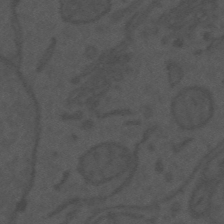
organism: Mouse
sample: Suprachiasmatic nucleus